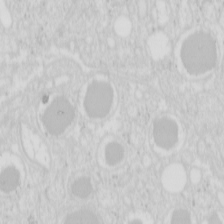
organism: Mouse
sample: Pancreas